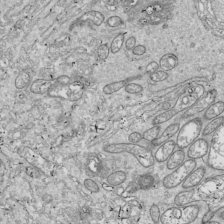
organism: Drosophila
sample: Cell division; meiosis; drosophila spermatocytes